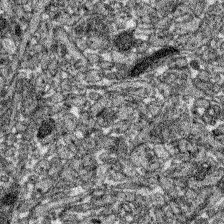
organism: Zebrafish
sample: Larval olfactory bulb